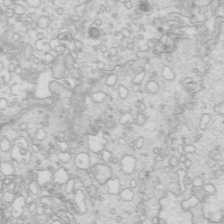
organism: Mouse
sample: Multiciliated cells